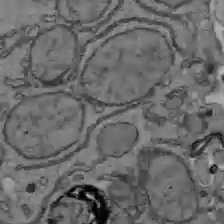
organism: C57BL Mouse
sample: Liver